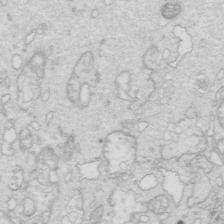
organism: Mouse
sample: Multiciliated cells